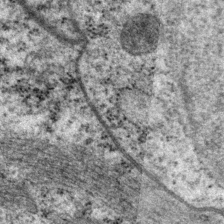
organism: P. pacificus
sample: Pharynx